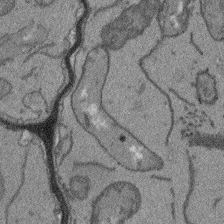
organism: Arabidopsis thaliana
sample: Root tip